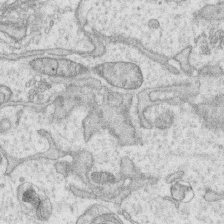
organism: Human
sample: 1205lu cells